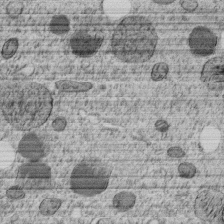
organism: C. elegans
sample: C. elegans embryo early stage